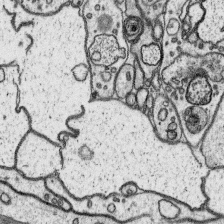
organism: Platynereis dumerilii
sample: Parapodia